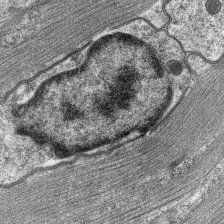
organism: C. elegans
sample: Pharynx